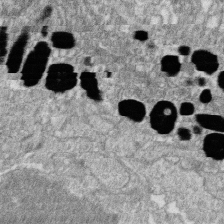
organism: Zebrafish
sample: Cilia; retinal pigment epithelium